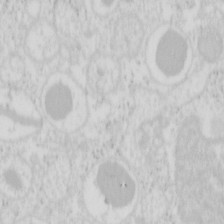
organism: Mouse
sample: Pancreas